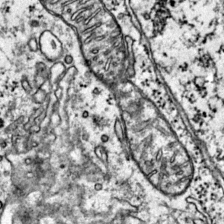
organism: Mouse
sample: Primary visual cortex